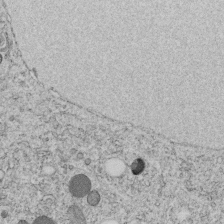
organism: C. elegans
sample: C. elegans embryo early stage